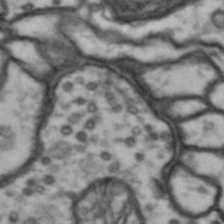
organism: Drosophila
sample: Brain